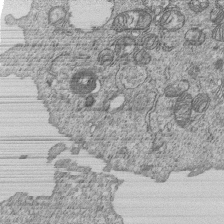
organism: Human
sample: MDA-MB-231 cells